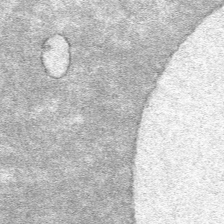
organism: Mouse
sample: Mouse Salivary gland